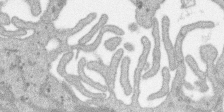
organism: Human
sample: Lung epithelial cells infected with SARS-CoV-2